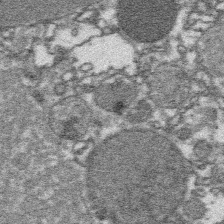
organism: Platynereis dumerilii